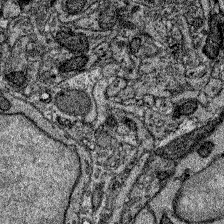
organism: Zebrafish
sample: Larval olfactory bulb